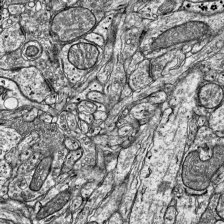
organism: Mouse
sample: Visual Cortex